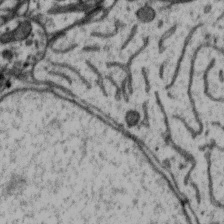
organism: Zebra finch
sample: Brain